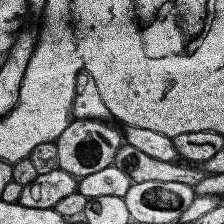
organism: Human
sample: Temporal Lobe